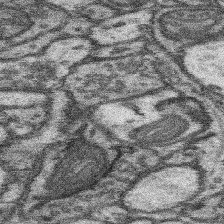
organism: Mouse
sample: Somatosensory cortex neuropil